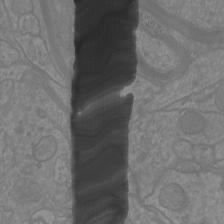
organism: Mouse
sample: Cortical neurons